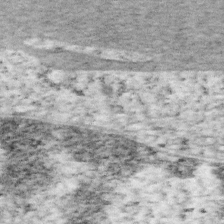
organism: Mouse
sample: OT-I killer T cells with ID8 ovarian cancer cells